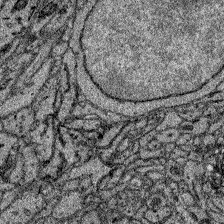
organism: Zebrafish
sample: Larval olfactory bulb